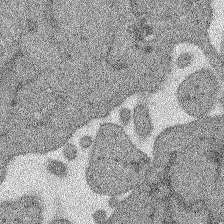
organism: Human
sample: HeLa cells